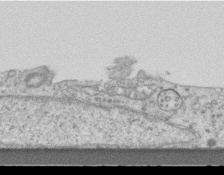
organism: Mouse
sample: Centriole in ependymal cells